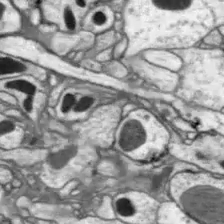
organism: Drosophila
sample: Optic lobe